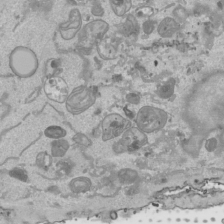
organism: Human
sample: Mitochondria in HCT116 cells